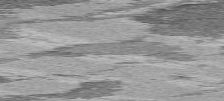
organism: C57BL Mouse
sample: Heart